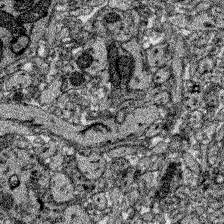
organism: Zebrafish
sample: Larval olfactory bulb